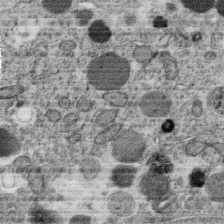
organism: C. elegans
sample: C. elegans oocyte; sperm cells